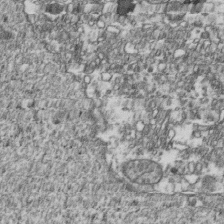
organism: Human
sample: Activated Jurkat CD4+ T cells